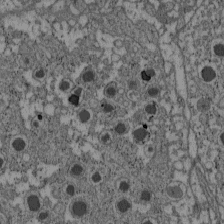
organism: C57BL Mouse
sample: Pancreatic islet